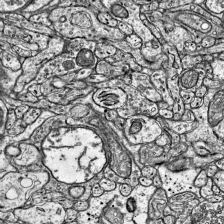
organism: Mouse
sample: Visual Cortex